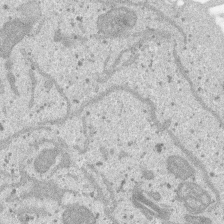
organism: Human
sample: Lung epithelial cells infected with SARS-CoV-2